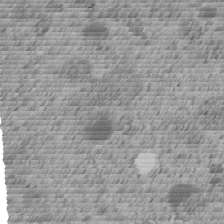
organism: C. elegans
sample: C. elegans embryo early stage